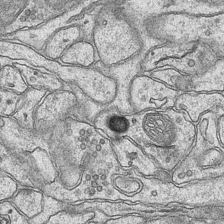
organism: Mouse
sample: CA1 Hippocampus